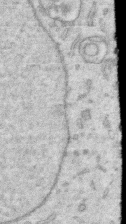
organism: Human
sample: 1205lu cells